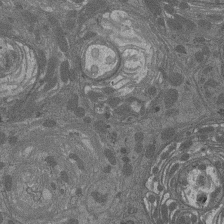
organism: Drosophila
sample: Antenna